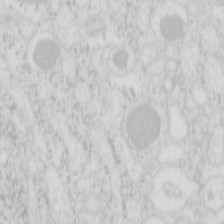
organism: Mouse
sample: Pancreas